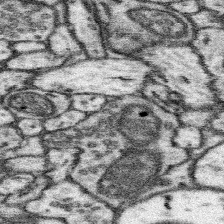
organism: Mouse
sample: Somatosensory cortex neuropil